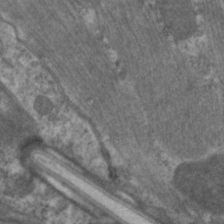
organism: C. elegans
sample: Pharynx